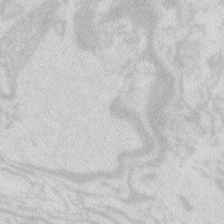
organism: Zebrafish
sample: Macrophage